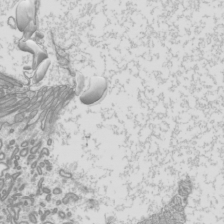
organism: Mouse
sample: Cilia; mouse epididymis